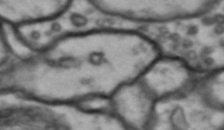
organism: Drosophila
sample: Brain